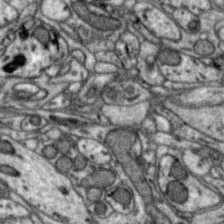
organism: Zebra finch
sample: Brain